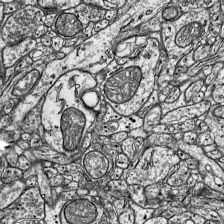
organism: Mouse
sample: Visual Cortex